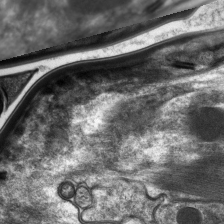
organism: C. elegans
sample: Pharynx